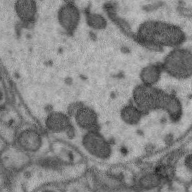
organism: Zebra finch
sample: Brain